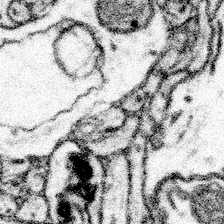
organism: Mouse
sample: Somatosensory cortex neuropil